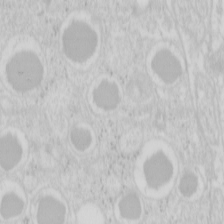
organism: Mouse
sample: Pancreas